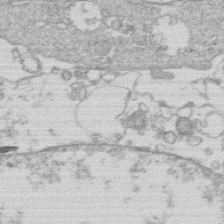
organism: Human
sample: Macrophage cells